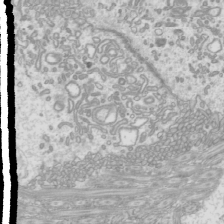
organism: Mouse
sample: Cilia; mouse epididymis